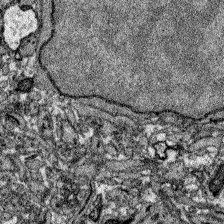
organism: Zebrafish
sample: Larval olfactory bulb